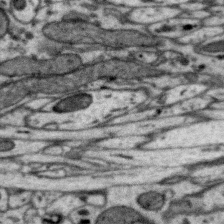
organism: Zebra finch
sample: Brain